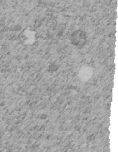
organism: C. elegans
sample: C. elegans embryo early stage